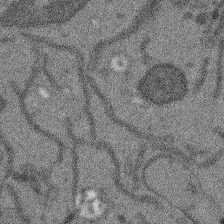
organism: Arabidopsis thaliana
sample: Root tip